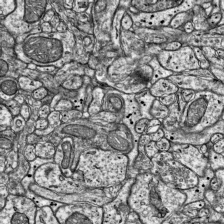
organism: Mouse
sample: Visual Cortex